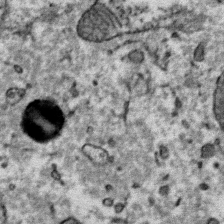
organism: Mouse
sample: Mouse Salivary gland